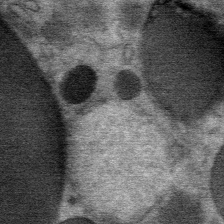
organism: Mouse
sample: Mouse Salivary gland